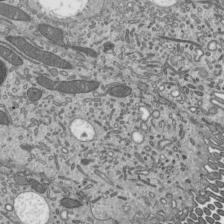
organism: Mouse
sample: Mouse epididymis efferent ductule cilia